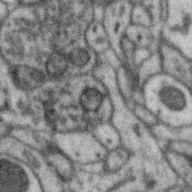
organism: Zebra finch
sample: Brain